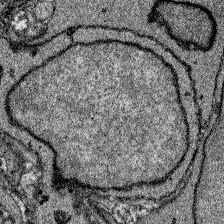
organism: Zebrafish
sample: Larval olfactory bulb